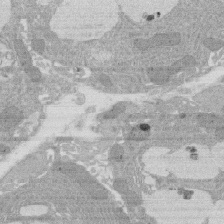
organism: Rat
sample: Salivary granule